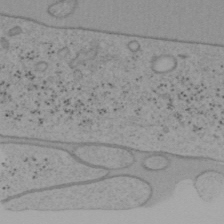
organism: Human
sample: HeLa cells